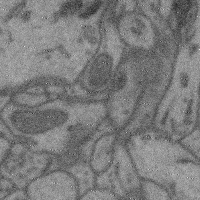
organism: Mouse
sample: Cerebral cortex